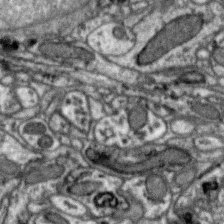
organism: Zebra finch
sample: Brain